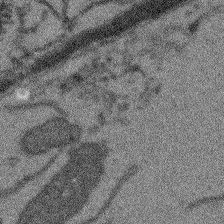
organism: Arabidopsis thaliana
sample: Root tip